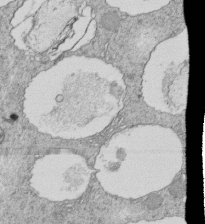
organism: Tetrahymena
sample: Cilia in tetrahymena